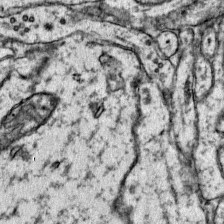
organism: Mouse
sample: Primary visual cortex